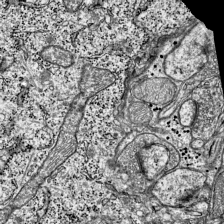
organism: Mouse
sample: Visual Cortex